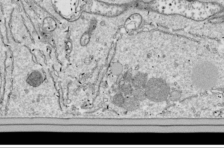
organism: Drosophila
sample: Cell division; meiosis; drosophila spermatocytes